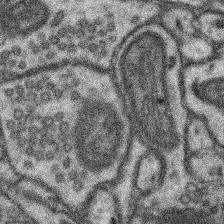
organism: Mouse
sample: Somatosensory cortex neuropil